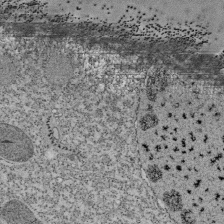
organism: Tetrahymena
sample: Cilia in tetrahymena